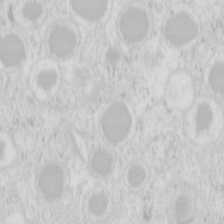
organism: Mouse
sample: Pancreas